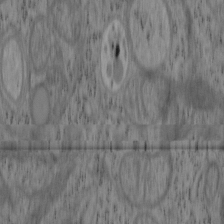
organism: Human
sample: HeLa cells